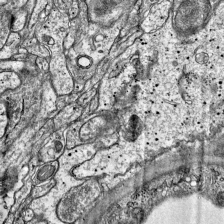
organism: Mouse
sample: Visual Cortex